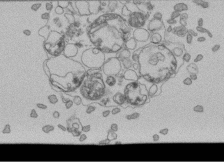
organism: Human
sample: Retinal organoid Rod and Cone cells